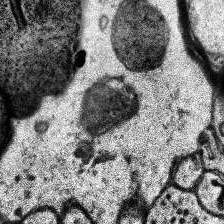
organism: Human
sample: Temporal Lobe